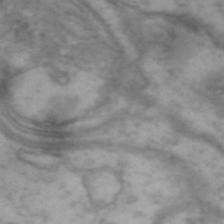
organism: Drosophila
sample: Brain